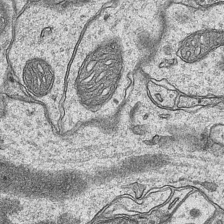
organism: Mouse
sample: CA1 Hippocampus